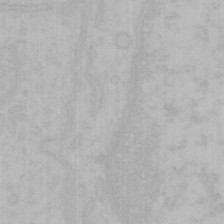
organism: Mouse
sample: Choroid plexus